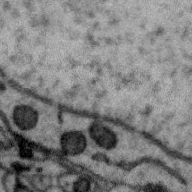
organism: Zebra finch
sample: Brain